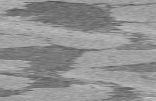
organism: C57BL Mouse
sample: Heart